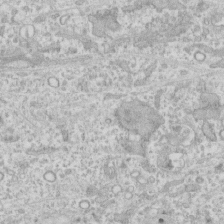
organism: Human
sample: CRL-1474